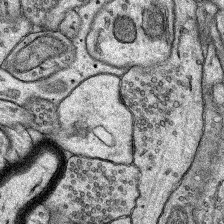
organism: Rat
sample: Hippocampus